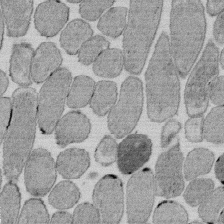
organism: E. coli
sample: Bacterial nucleoid